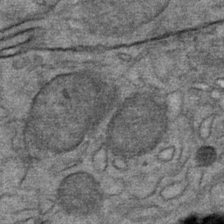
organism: Mouse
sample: Mouse Salivary gland